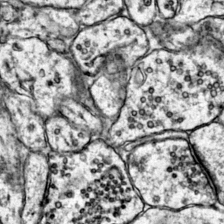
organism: Mouse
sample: Primary visual cortex